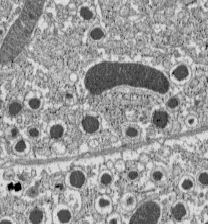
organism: C57BL Mouse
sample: Pancreatic islet